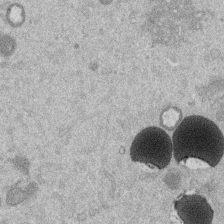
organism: Mouse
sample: Dividing mouse embryo 1 cell stage